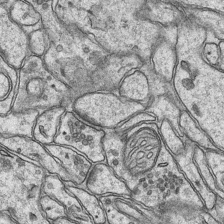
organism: Mouse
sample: CA1 Hippocampus